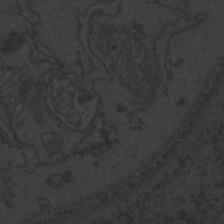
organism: Zebrafish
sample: Macrophage infected with Toxoplasma gondii